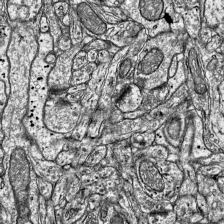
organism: Mouse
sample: Visual Cortex